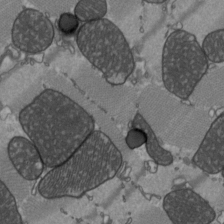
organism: C57BL Mouse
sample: Heart